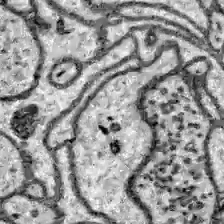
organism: Zebrafish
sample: Brain